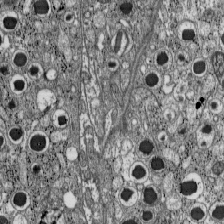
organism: C57BL Mouse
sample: Pancreatic islet